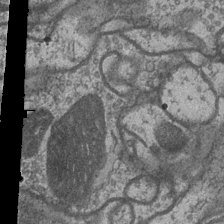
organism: Drosophila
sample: Optic medulla